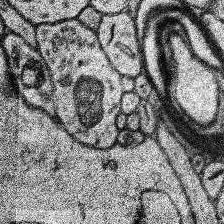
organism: Human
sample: Temporal Lobe